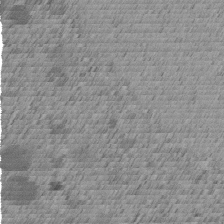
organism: C. elegans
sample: C. elegans embryo early stage